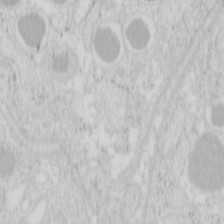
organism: Mouse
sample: Pancreas